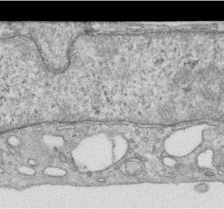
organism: Human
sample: Centriole in RPE cells